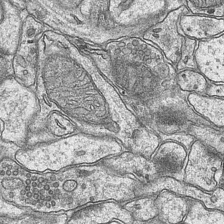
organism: Mouse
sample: CA1 Hippocampus